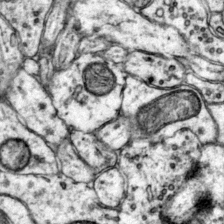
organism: Mouse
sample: Primary visual cortex